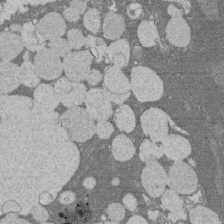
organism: Rat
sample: Salivary granule